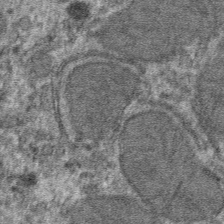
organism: Mouse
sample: Mouse hepatocytes